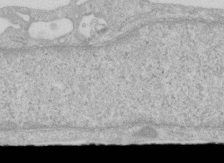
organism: Human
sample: Centriole in RPE cells